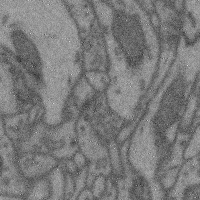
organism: Mouse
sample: Cerebral cortex